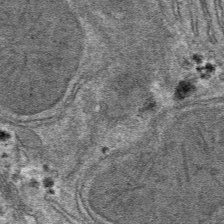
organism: Mouse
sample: Mouse hepatocytes